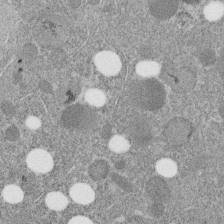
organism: C. elegans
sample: C. elegans embryo early stage